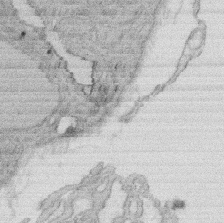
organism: Rat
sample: Salivary granule